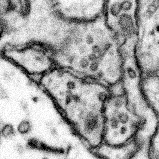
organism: Mouse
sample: Somatosensory cortex neuropil